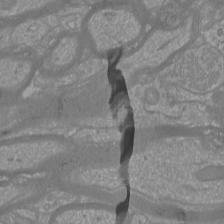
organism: Mouse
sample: Cortical neurons